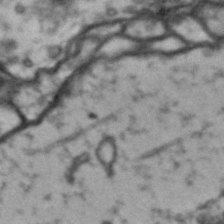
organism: Drosophila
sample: Brain